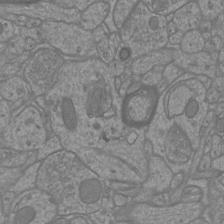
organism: Mouse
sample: Cortical neurons